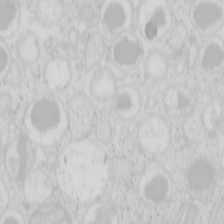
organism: Mouse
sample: Pancreas